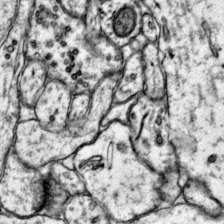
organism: Mouse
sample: Primary visual cortex